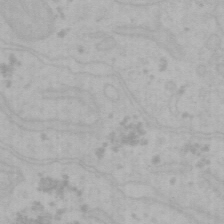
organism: Mouse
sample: Choroid plexus